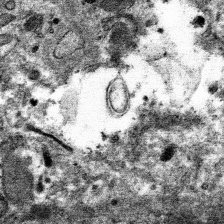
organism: Mouse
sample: Mouse hepatocytes